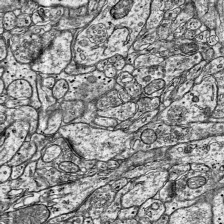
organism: Mouse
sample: Visual Cortex